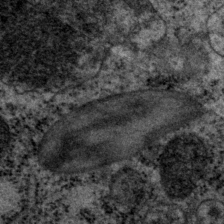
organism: P. pacificus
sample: Pharynx